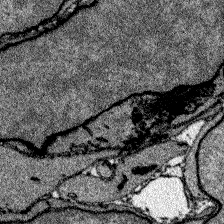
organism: Zebrafish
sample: Larval olfactory bulb